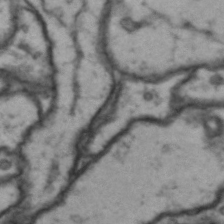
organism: Drosophila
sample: Brain